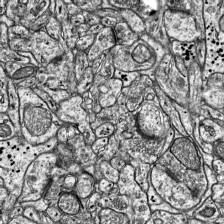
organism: Mouse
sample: Visual Cortex